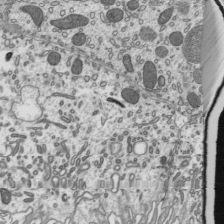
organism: Mouse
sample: Mouse epididymis efferent ductule cilia